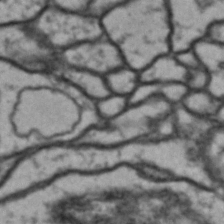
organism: Drosophila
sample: Brain